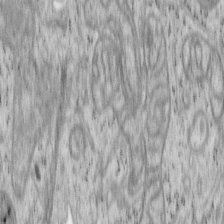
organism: Human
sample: HeLa cells